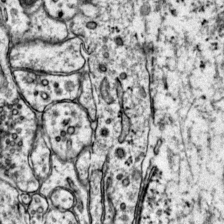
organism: Mouse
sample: Primary visual cortex